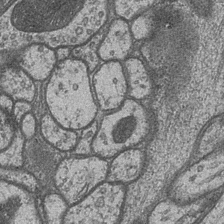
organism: Drosophila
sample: Optic medulla